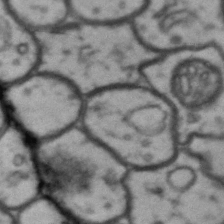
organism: Drosophila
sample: Brain